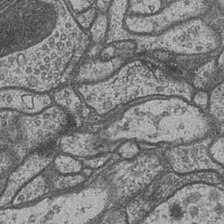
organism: Drosophila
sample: Optic medulla